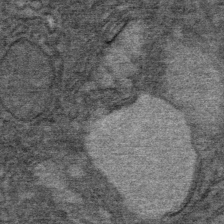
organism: Mouse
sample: Mouse Salivary gland